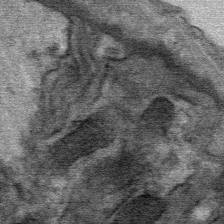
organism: Mouse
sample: Mouse Salivary gland